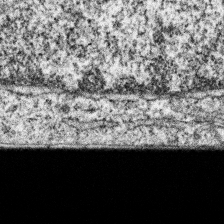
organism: Human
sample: HeLa cells